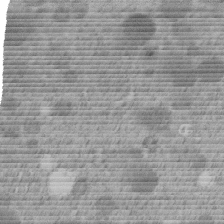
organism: C. elegans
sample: C. elegans embryo early stage